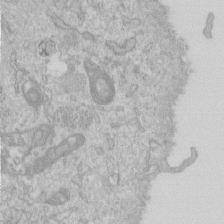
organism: Human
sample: Centriole in RPE cells